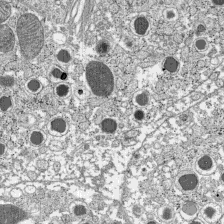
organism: C57BL Mouse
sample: Pancreatic islet